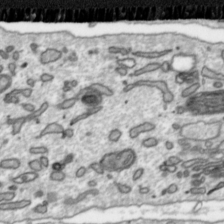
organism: Toxoplasma gondii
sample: Parasites in a vacuole inside a host cell